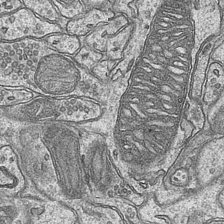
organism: Mouse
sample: CA1 Hippocampus